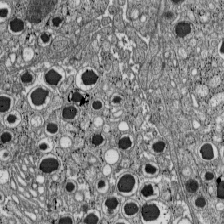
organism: C57BL Mouse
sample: Pancreatic islet